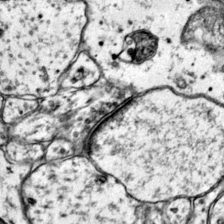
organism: Mouse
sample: Primary visual cortex